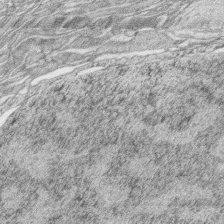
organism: Zebrafish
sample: synaptic ribbons in rod cells and cone cells